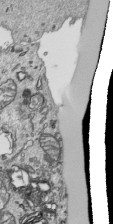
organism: Human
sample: Mitochondria in HCT116 cells